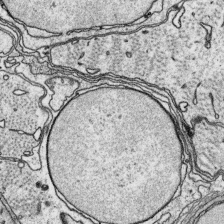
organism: Platynereis dumerilii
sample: Parapodia